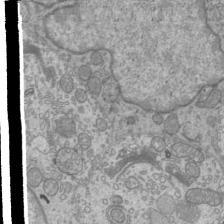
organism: Mouse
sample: Cilia; mouse epididymis